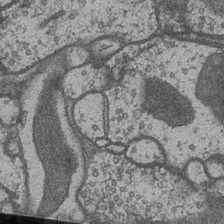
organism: Drosophila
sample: Optic medulla